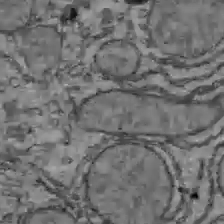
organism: C57BL Mouse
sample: Liver